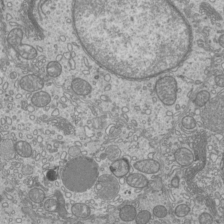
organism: Mouse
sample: Cilia; mouse epididymis